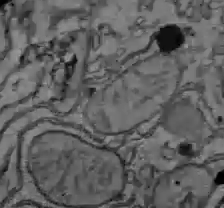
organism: C57BL Mouse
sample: Liver